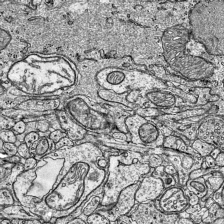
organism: Mouse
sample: Visual Cortex